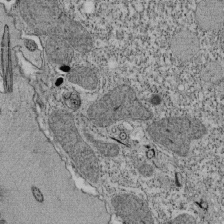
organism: Tetrahymena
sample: Cilia in tetrahymena